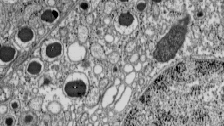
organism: C57BL Mouse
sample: Pancreatic islet